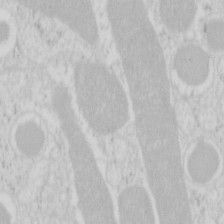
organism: Mouse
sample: Pancreas